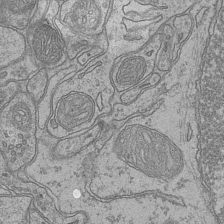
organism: Mouse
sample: CA1 Hippocampus